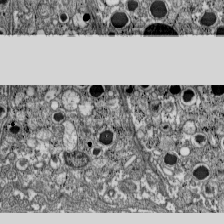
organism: C57BL Mouse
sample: Pancreatic islet